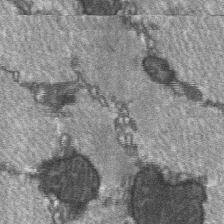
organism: C57BL Mouse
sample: Soleus